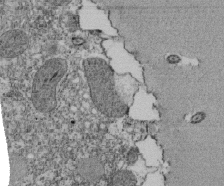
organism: Tetrahymena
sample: Cilia in tetrahymena